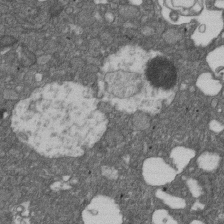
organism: Drosophila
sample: Nephrocyte